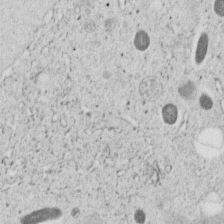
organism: C. elegans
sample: C. elegans embryo early stage